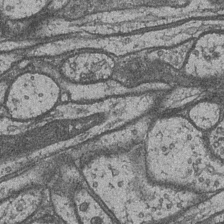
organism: Drosophila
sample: Optic medulla